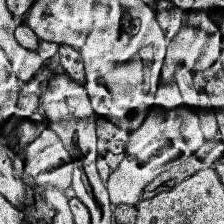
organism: Human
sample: Temporal Lobe